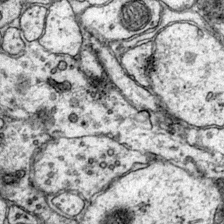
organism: Mouse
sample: Primary visual cortex